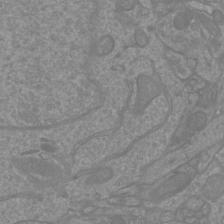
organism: Mouse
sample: Cortical neurons